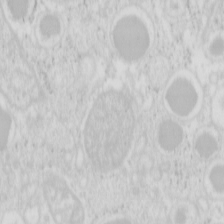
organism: Mouse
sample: Pancreas